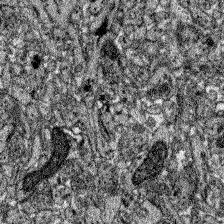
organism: Zebrafish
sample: Larval olfactory bulb